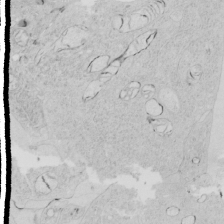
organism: Human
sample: Mitochondria in HCT116 cells